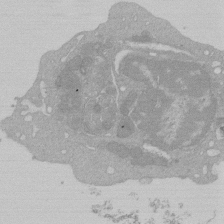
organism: Mouse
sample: Activated Pmel transgenic CD8+ T Cells